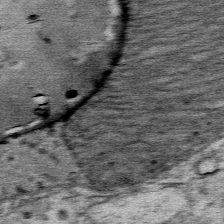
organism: Mouse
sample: Mouse Salivary gland